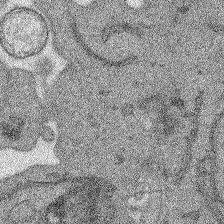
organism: Human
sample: HeLa cells